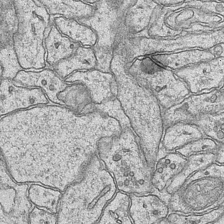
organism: Mouse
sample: CA1 Hippocampus